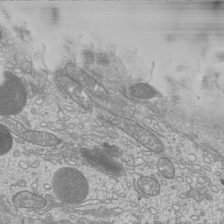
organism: Mouse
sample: Cilia; mouse epididymis